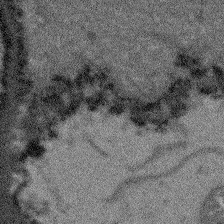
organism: Arabidopsis thaliana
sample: Root tip